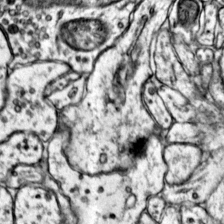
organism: Mouse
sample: Primary visual cortex